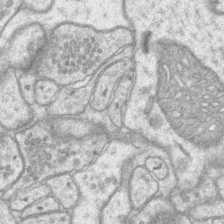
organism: Mouse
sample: CA1 Hippocampus